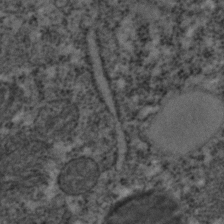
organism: C. elegans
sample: C. elegans embryo